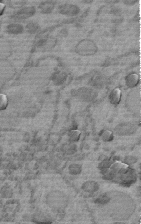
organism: C. elegans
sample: C. elegans embryo early stage